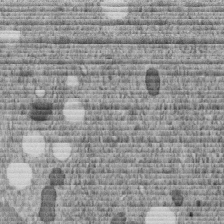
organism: C. elegans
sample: C. elegans embryo early stage